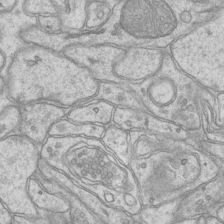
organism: Mouse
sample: CA1 Hippocampus